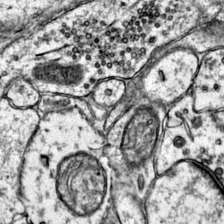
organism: Mouse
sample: Primary visual cortex